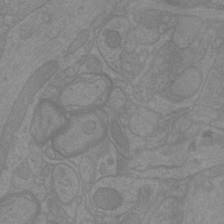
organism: Mouse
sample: Cortical neurons